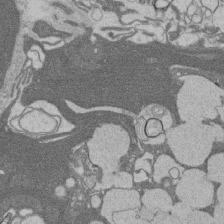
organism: Rat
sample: Salivary granule